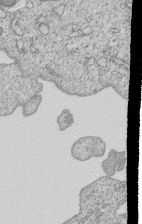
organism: Human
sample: MDA-MB-231 cells